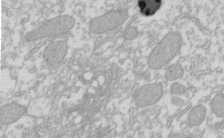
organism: Xenopus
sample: Cilia; centrioles in frog embryo cells